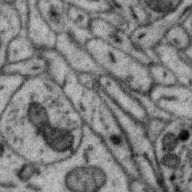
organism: Zebra finch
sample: Brain